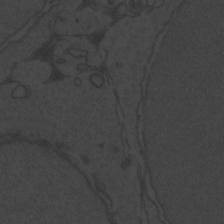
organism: Zebrafish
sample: Macrophage infected with Toxoplasma gondii